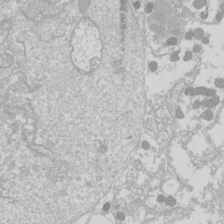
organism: Drosophila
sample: Cell division; meiosis; drosophila spermatocytes